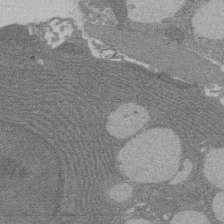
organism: Rat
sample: Salivary granule